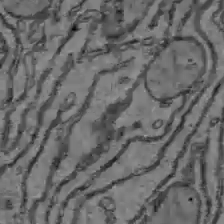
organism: C57BL Mouse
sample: Liver